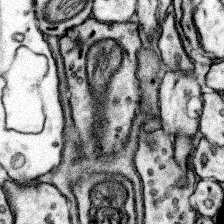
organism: Mouse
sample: Somatosensory cortex neuropil